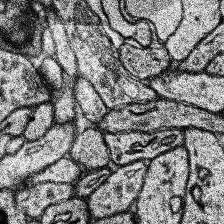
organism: Human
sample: Temporal Lobe